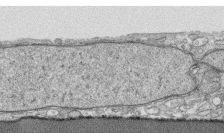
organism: Human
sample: CRL-1474